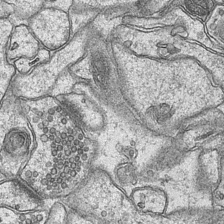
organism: Mouse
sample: CA1 Hippocampus